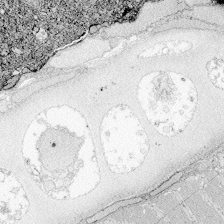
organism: Zebrafish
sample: Whole-Brain